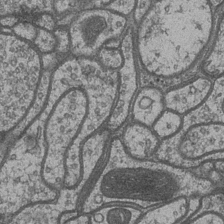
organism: Drosophila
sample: Optic medulla